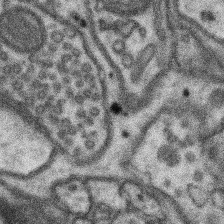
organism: Mouse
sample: Somatosensory cortex neuropil